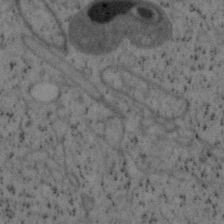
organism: Human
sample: HeLa cells